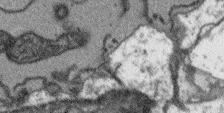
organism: Arabidopsis thaliana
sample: Root tip